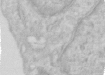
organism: Human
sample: Centriole in RPE cells